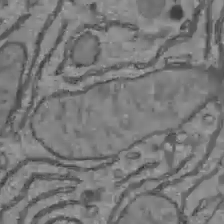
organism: C57BL Mouse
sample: Liver